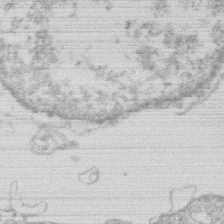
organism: Human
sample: Macrophage cells